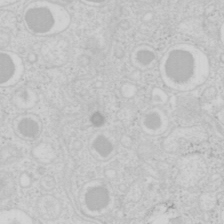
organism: Mouse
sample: Pancreas